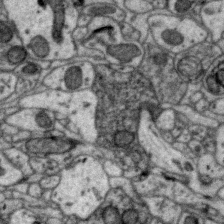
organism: Zebra finch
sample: Brain